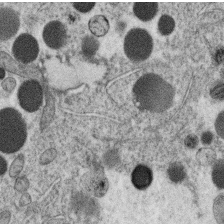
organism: C. elegans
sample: C. elegans oocyte; sperm cells